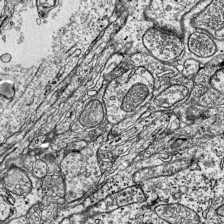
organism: Mouse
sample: Visual Cortex